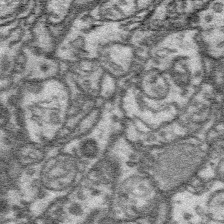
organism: Platynereis dumerilii